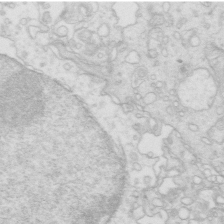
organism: Mouse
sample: Multiciliated cells